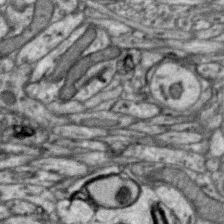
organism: Zebra finch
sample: Brain